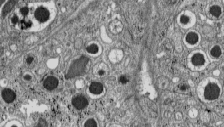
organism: C57BL Mouse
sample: Pancreatic islet